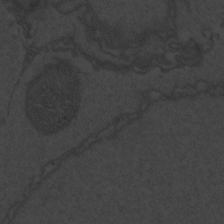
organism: Zebrafish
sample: Macrophage infected with Toxoplasma gondii